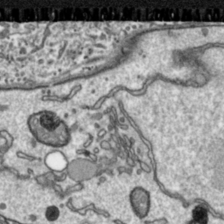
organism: Toxoplasma gondii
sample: Parasites in a vacuole inside a host cell